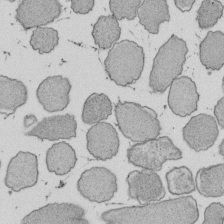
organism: E. coli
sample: Bacterial nucleoid